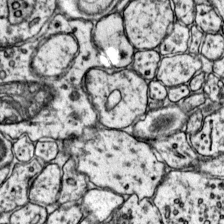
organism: Mouse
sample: Primary visual cortex